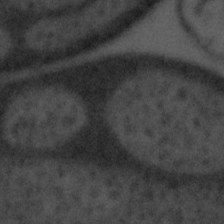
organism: Tuwongella immobilis